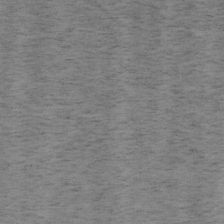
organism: Mouse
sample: OT-I killer T cells with ID8 ovarian cancer cells